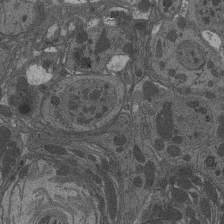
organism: Drosophila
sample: Antenna